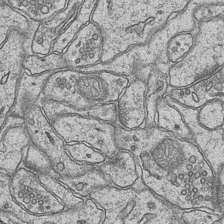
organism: Mouse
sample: CA1 Hippocampus